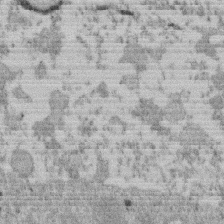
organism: Mouse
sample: Dividing mouse embryo 1 cell stage